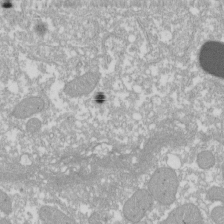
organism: Xenopus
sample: Cilia; centrioles in frog embryo cells